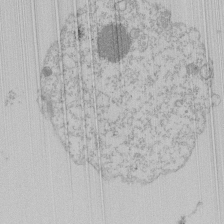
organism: Mouse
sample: Activated Pmel transgenic CD8+ T Cells